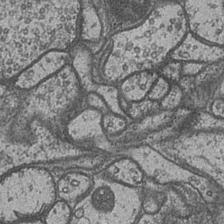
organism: Drosophila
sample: Optic medulla